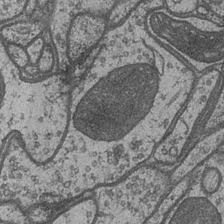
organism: Drosophila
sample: Optic medulla